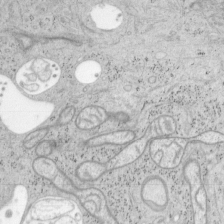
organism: Mouse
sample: OT-I killer T cells with ID8 ovarian cancer cells